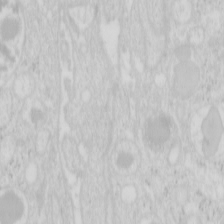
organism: Mouse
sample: Pancreas